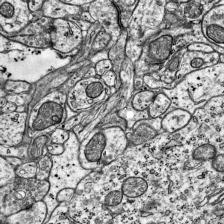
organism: Mouse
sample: Visual Cortex